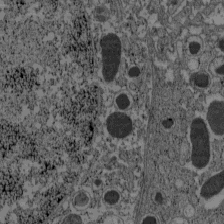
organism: C57BL Mouse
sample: Pancreatic islet